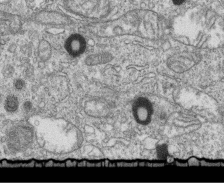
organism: Human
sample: HeLa cell HIV synapse